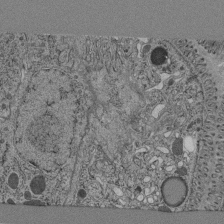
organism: C. elegans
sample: C. elegans pharynx